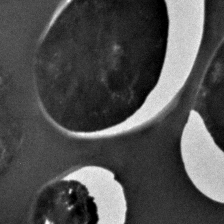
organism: C. elegans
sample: C. elegans embryo